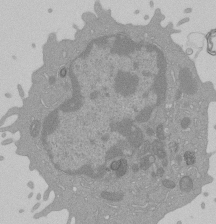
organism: Mouse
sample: Activated Pmel transgenic CD8+ T Cells